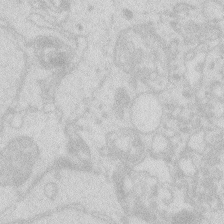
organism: Zebrafish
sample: Macrophage